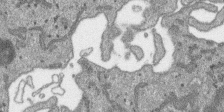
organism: Human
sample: Lung epithelial cells infected with SARS-CoV-2